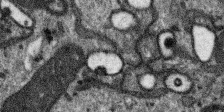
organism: Human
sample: Lung epithelial cells infected with SARS-CoV-2